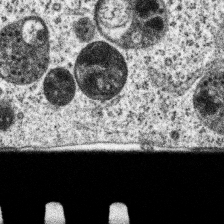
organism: Human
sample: HeLa cells